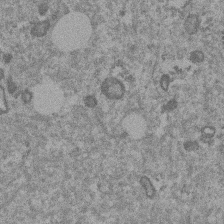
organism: Mouse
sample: Dividing mouse embryo 1 cell stage